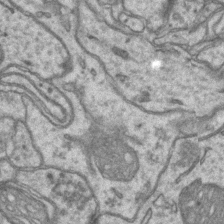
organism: Mouse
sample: CA1 Hippocampus